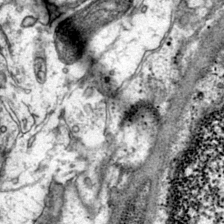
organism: Mouse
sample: Primary visual cortex